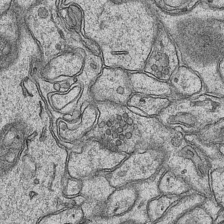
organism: Mouse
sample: CA1 Hippocampus